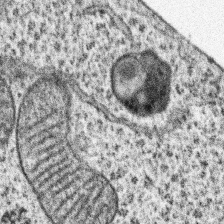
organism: Human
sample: HeLa cells